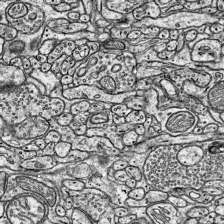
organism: Mouse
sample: Visual Cortex